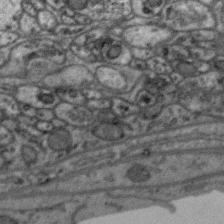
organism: Zebra finch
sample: Brain